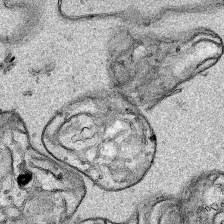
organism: Human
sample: Mitochondria in HCT116 cells